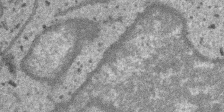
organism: Human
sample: Lung epithelial cells infected with SARS-CoV-2